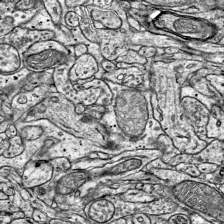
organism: Mouse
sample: Visual Cortex